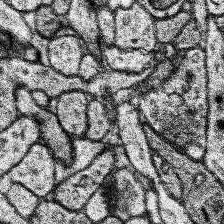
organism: Human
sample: Temporal Lobe